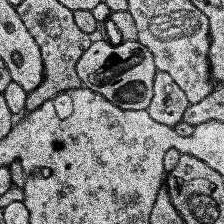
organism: Human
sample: Temporal Lobe